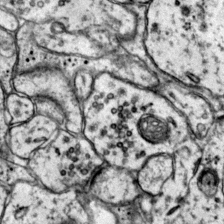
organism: Mouse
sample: Primary visual cortex